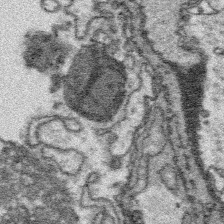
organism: Platynereis dumerilii